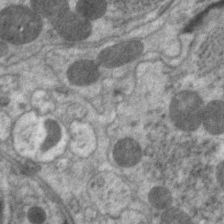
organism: C. elegans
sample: Pharynx